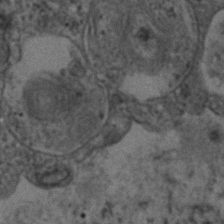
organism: Human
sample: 1205lu cells